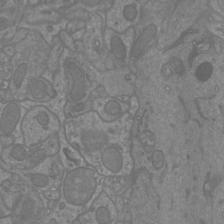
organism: Mouse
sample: Cortical neurons